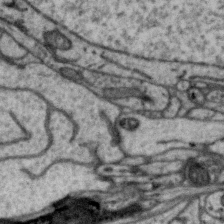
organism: Zebra finch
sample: Brain